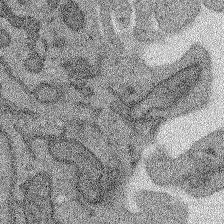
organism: Human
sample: HeLa cells